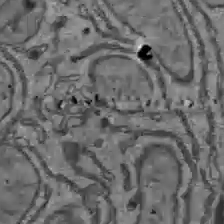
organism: C57BL Mouse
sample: Liver